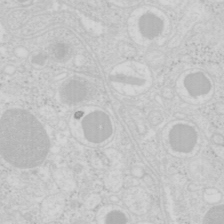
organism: Mouse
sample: Pancreas